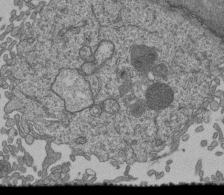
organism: Human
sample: Retinal organoid Rod and Cone cells